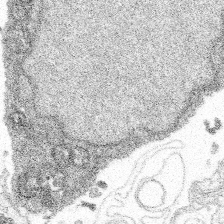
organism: Spongilla lacustris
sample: Multiple